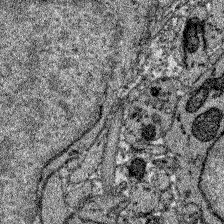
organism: Zebrafish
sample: Larval olfactory bulb